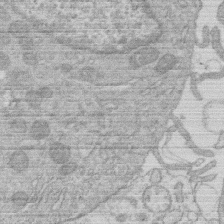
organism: Human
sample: Macrophage cells